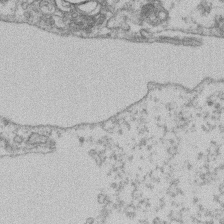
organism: Mouse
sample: T cell stromal cell synapse